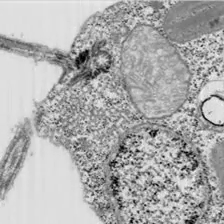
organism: Chlamydomonas reinhardtii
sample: Whole Cell